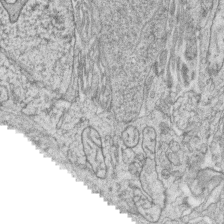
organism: Zebrafish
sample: synaptic ribbons in rod cells and cone cells